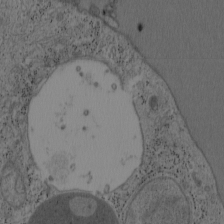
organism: Mouse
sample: OT-I killer T cells with ID8 ovarian cancer cells